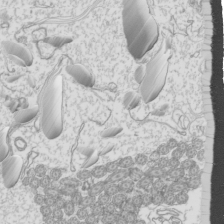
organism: Mouse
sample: Cilia; mouse epididymis